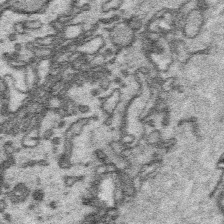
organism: Platynereis dumerilii